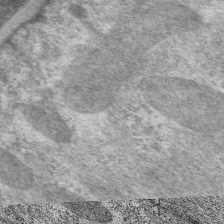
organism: C. elegans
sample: Pharynx